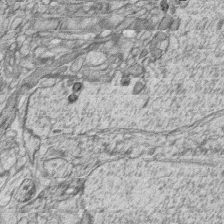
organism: Zebrafish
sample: synaptic ribbons in rod cells and cone cells